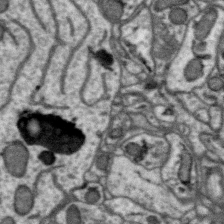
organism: Zebra finch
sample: Brain